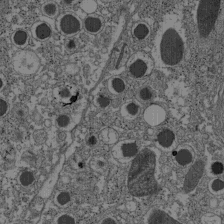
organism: C57BL Mouse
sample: Pancreatic islet